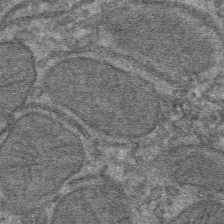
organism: Mouse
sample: Mouse hepatocytes